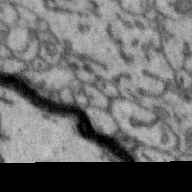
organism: Zebra finch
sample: Brain